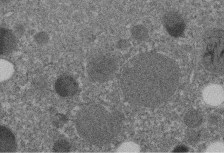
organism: C. elegans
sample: C. elegans embryo early stage